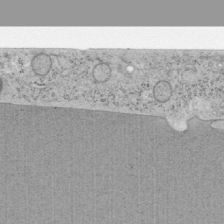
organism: Human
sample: HeLa cells